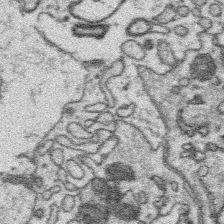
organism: Platynereis dumerilii